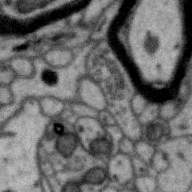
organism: Zebra finch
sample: Brain